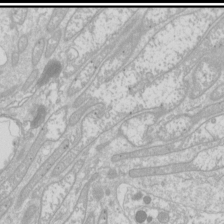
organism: Drosophila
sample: Cell division; meiosis; drosophila spermatocytes